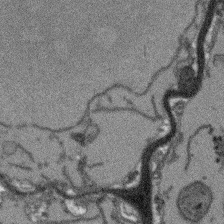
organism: Arabidopsis thaliana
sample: Root tip